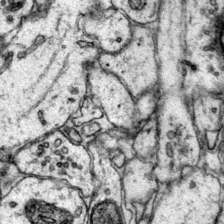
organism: Mouse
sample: Primary visual cortex